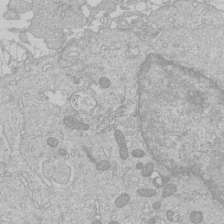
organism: Human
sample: Macrophage cells